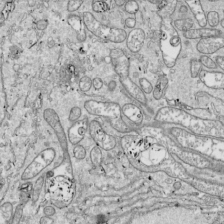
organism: Drosophila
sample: Cell division; meiosis; drosophila spermatocytes